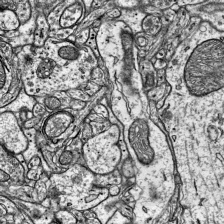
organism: Mouse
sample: Visual Cortex